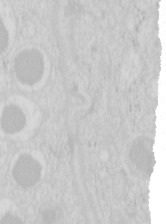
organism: Mouse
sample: Pancreas